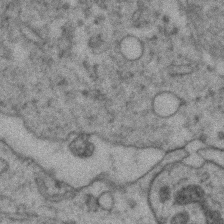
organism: Zebrafish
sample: Zebrafish embryo